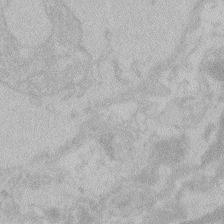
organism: Zebrafish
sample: Macrophage infected with Toxoplasma gondii